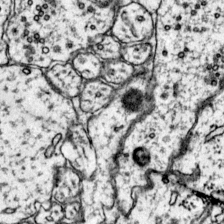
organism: Mouse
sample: Primary visual cortex